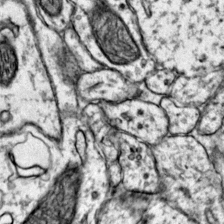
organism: Mouse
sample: Primary visual cortex